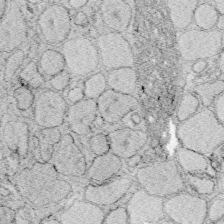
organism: Zebrafish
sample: Whole-Brain